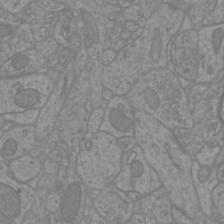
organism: Mouse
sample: Cortical neurons